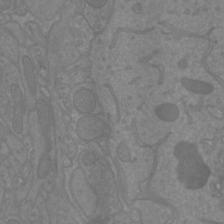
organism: Mouse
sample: Cortical neurons